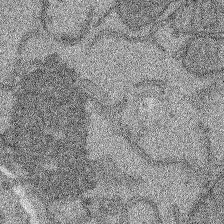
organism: Human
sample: HeLa cells